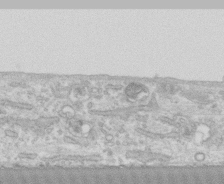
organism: Human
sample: CRL-1474